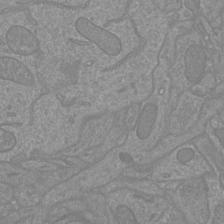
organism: Mouse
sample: Cortical neurons